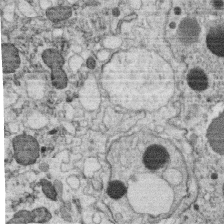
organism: C. elegans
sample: C. elegans oocyte; sperm cells